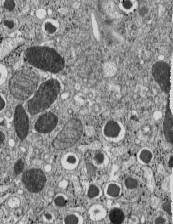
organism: C57BL Mouse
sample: Pancreatic islet